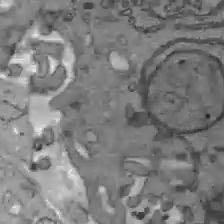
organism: C57BL Mouse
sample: Liver